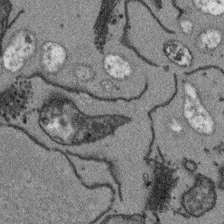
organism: Arabidopsis thaliana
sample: Root tip